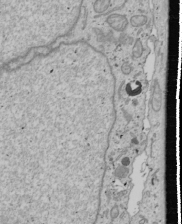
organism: Human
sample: Mitochondria in U2OS cells